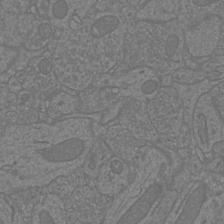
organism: Mouse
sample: Cortical neurons